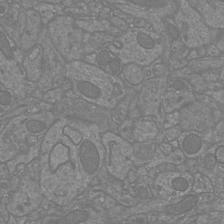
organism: Mouse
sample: Cortical neurons